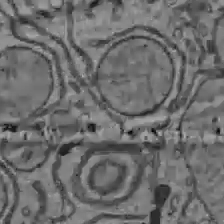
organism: C57BL Mouse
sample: Liver